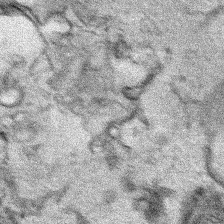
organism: Human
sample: Mitochondria in HCT116 cells